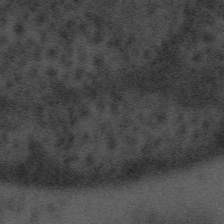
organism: Tuwongella immobilis